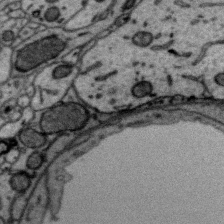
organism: Zebra finch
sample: Brain